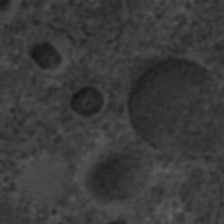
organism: C. elegans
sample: C. elegans embryo